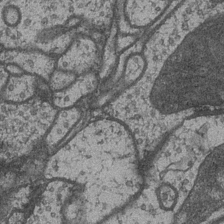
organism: Drosophila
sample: Optic medulla